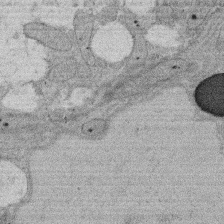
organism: Rat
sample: Salivary granule